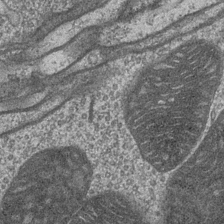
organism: Drosophila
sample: Optic medulla